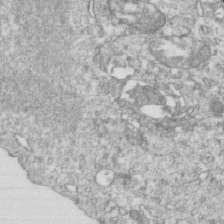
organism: Mouse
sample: Activated OT-1 CD8+ T cells